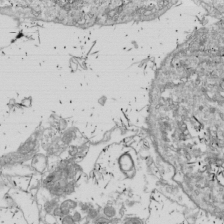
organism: Drosophila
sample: Cell division; meiosis; drosophila spermatocytes